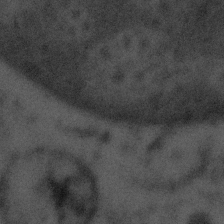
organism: Tuwongella immobilis